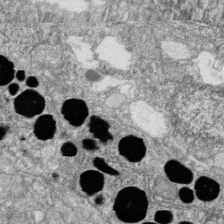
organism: Zebrafish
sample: Cilia; retinal pigment epithelium